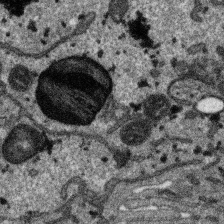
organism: Human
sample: Lung epithelial cells infected with SARS-CoV-2